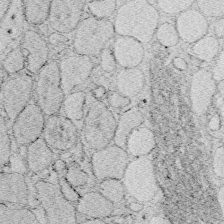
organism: Zebrafish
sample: Whole-Brain